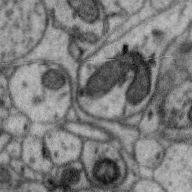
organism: Zebra finch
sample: Brain